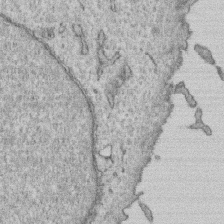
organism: Human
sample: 1205lu cells